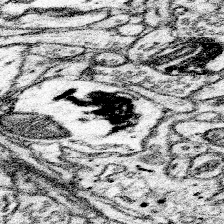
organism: Mouse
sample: Somatosensory cortex neuropil